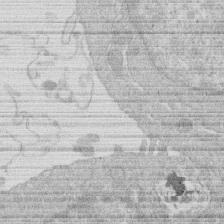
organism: Human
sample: Macrophage cells